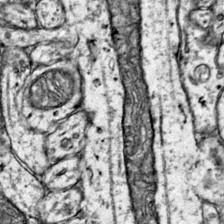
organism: Mouse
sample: Primary visual cortex